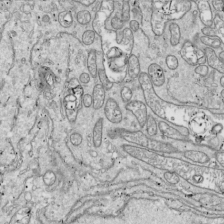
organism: Drosophila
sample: Cell division; meiosis; drosophila spermatocytes